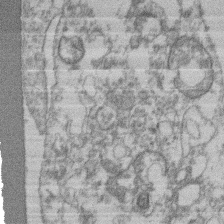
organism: Mouse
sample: T cell stromal cell synapse